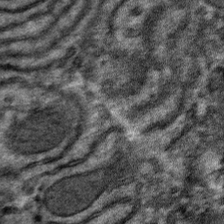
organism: Mouse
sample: Mouse hepatocytes